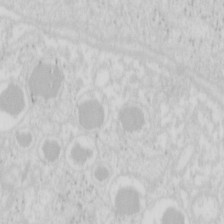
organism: Mouse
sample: Pancreas